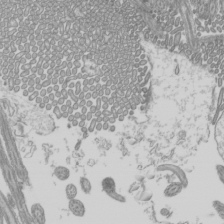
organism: Mouse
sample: Cilia; mouse epididymis